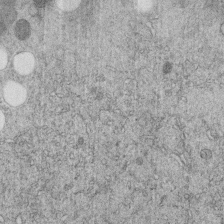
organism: C. elegans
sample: C. elegans embryo early stage